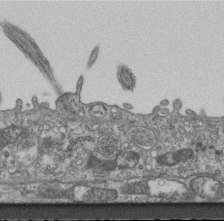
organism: Mouse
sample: Centriole in ependymal cells